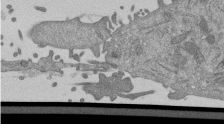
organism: Mouse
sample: ED-1 cell nuclei; centrioles